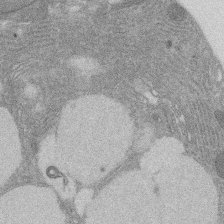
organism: Rat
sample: Salivary granule